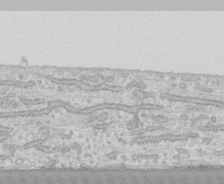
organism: Human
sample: CRL-1474